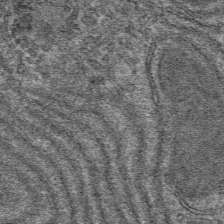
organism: Mouse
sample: Mouse hepatocytes